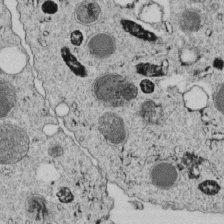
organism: C. elegans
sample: C. elegans embryo early stage